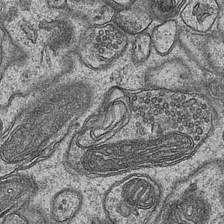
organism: Mouse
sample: CA1 Hippocampus